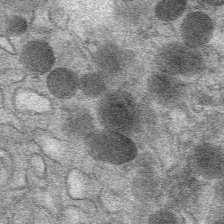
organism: Mouse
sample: Mouse Salivary gland